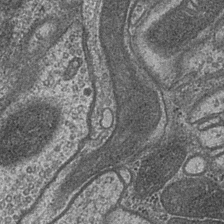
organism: Drosophila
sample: Optic medulla